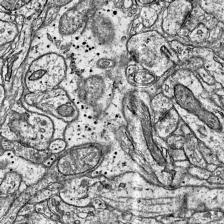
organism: Mouse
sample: Visual Cortex